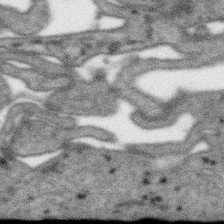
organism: Human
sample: Lung epithelial cells infected with SARS-CoV-2